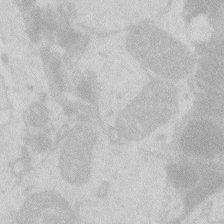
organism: Zebrafish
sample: Macrophage